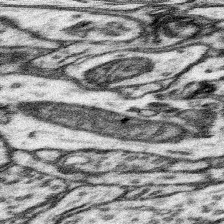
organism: Mouse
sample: Somatosensory cortex neuropil